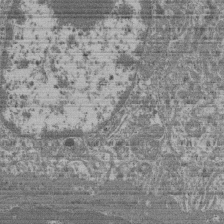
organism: Mouse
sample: Glomerulus